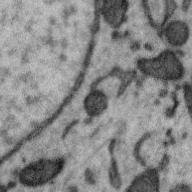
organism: Zebra finch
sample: Brain